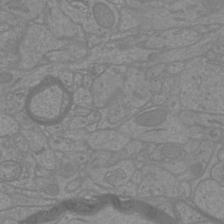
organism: Mouse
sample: Cortical neurons